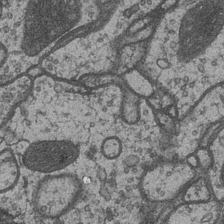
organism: Drosophila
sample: Optic medulla